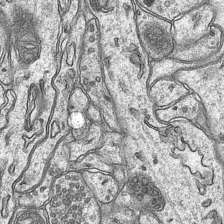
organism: Mouse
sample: CA1 Hippocampus